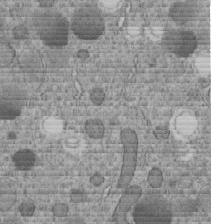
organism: C. elegans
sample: C. elegans embryo early stage